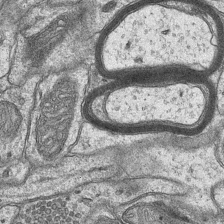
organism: Mouse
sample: CA1 Hippocampus